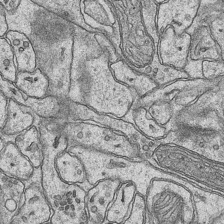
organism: Mouse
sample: CA1 Hippocampus